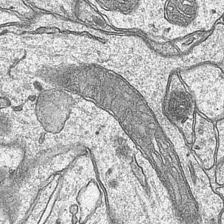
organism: Mouse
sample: CA1 Hippocampus